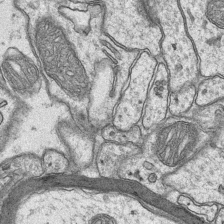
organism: Mouse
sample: CA1 Hippocampus